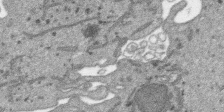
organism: Human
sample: Lung epithelial cells infected with SARS-CoV-2